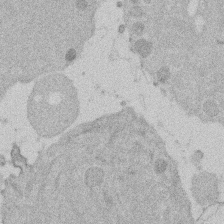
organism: Mouse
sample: Dividing mouse embryo 1 cell stage